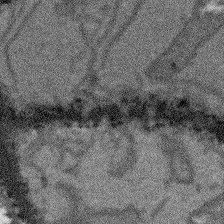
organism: Arabidopsis thaliana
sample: Root tip